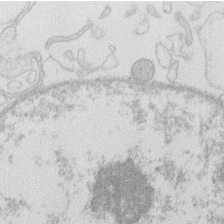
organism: Human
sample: Macrophage cells